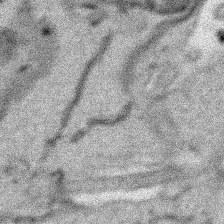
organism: Human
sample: Mitochondria in HCT116 cells